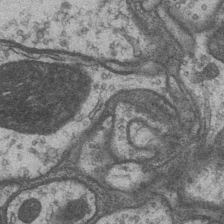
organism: Drosophila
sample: Optic medulla